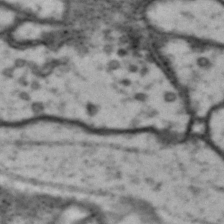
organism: Drosophila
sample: Brain